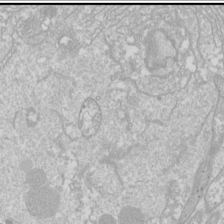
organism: Drosophila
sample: Cell division; meiosis; drosophila spermatocytes